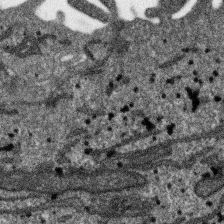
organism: Human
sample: Lung epithelial cells infected with SARS-CoV-2